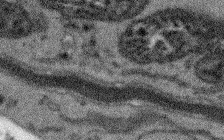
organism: Arabidopsis thaliana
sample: Root tip